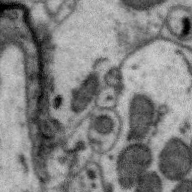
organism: Zebra finch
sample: Brain